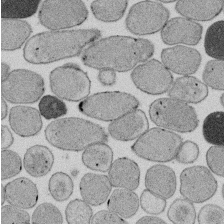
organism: E. coli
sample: Bacterial nucleoid